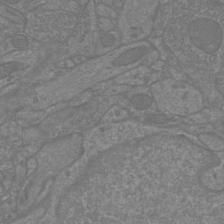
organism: Mouse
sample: Cortical neurons